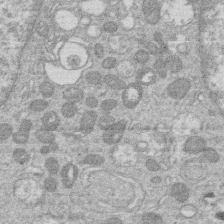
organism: Human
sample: Macrophage cells